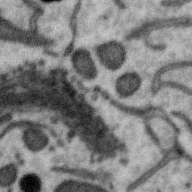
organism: Zebra finch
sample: Brain